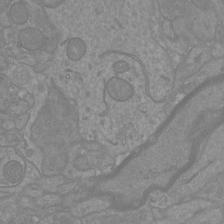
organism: Mouse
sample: Cortical neurons